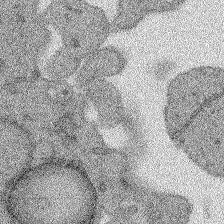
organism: Human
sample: HeLa cells